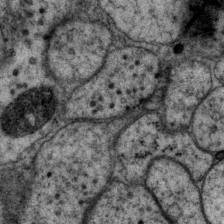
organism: P. pacificus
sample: Pharynx